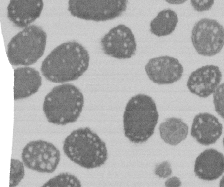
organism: E. coli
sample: Bacterial nucleoid